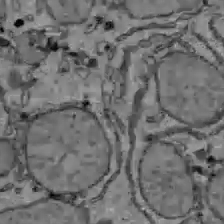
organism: C57BL Mouse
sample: Liver